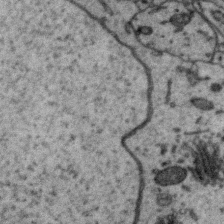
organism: Zebra finch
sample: Brain